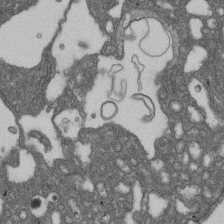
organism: Drosophila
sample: Nephrocyte